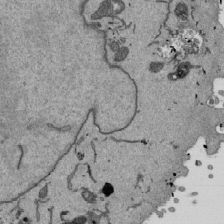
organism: Mouse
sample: ED-1 cell nuclei; centrioles